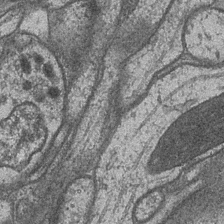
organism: Drosophila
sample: Optic medulla